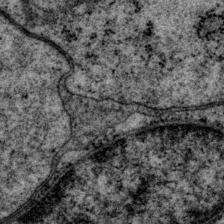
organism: P. pacificus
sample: Pharynx